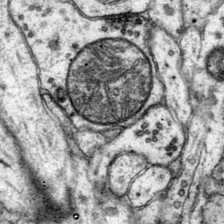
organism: Mouse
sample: Primary visual cortex